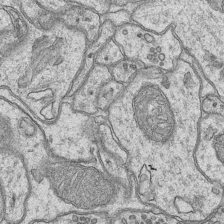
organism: Mouse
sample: CA1 Hippocampus